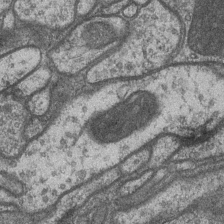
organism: Drosophila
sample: Optic medulla